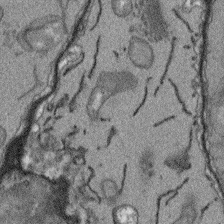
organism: Arabidopsis thaliana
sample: Root tip